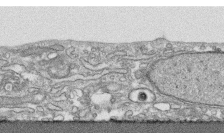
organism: Human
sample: CRL-1474